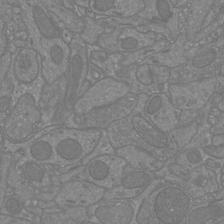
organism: Mouse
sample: Cortical neurons